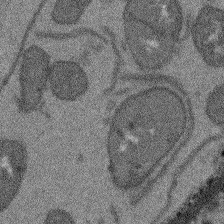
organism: Arabidopsis thaliana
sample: Root tip